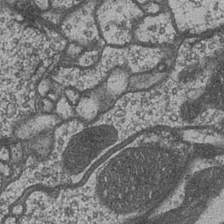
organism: Drosophila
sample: Optic medulla